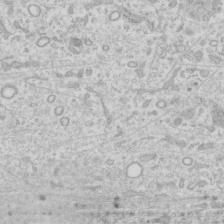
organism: Human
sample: Fibroblast cells